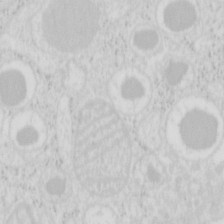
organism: Mouse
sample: Pancreas